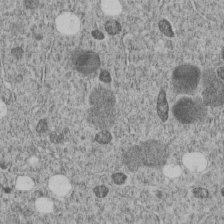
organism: C. elegans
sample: C. elegans embryo early stage